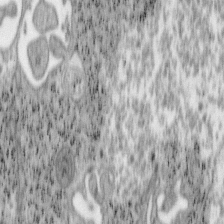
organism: Human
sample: HeLa cells